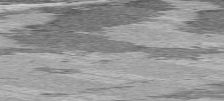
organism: C57BL Mouse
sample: Heart